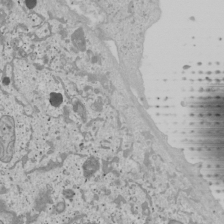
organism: Human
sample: Mitochondria in U2OS cells